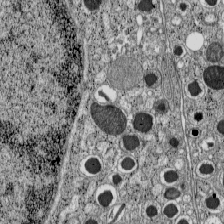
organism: C57BL Mouse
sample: Pancreatic islet